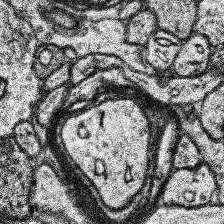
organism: Human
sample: Temporal Lobe